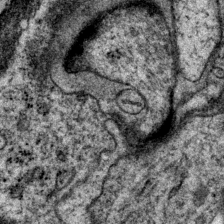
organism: P. pacificus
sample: Pharynx